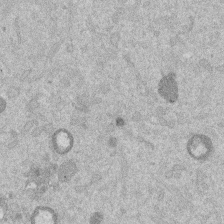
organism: Mouse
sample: Dividing mouse embryo 1 cell stage